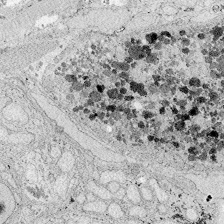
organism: Zebrafish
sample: Whole-Brain